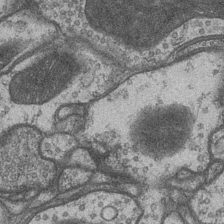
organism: Drosophila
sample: Optic medulla